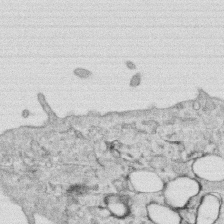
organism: Human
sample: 1205lu cells